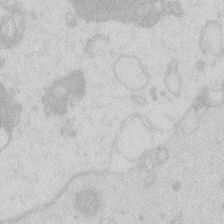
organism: Zebrafish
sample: Macrophage